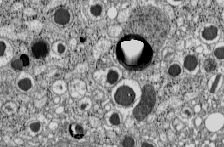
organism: C57BL Mouse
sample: Pancreatic islet